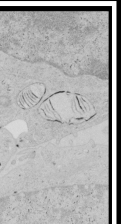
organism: Human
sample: Mitochondria in HCT116 cells